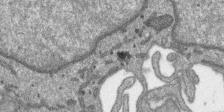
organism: Human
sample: Lung epithelial cells infected with SARS-CoV-2